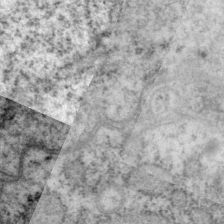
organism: P. pacificus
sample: Pharynx